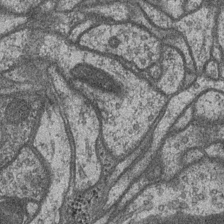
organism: Drosophila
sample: Optic medulla